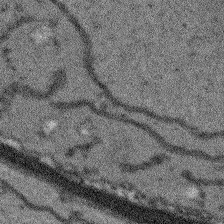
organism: Arabidopsis thaliana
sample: Root tip